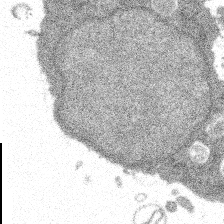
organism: Spongilla lacustris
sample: Multiple